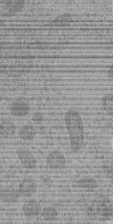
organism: C. elegans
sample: C. elegans embryo early stage